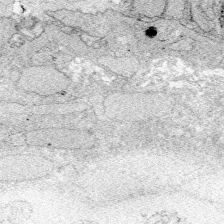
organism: Zebrafish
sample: Whole-Brain